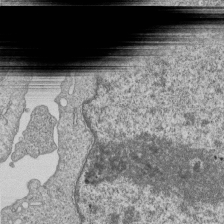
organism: Human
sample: MDA-MB-231 cells